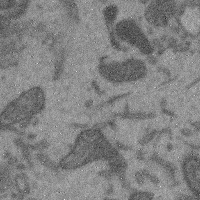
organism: Mouse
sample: Cerebral cortex